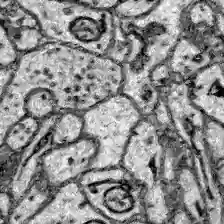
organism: Zebrafish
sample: Brain